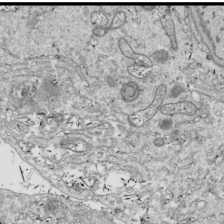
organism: Drosophila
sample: Cell division; meiosis; drosophila spermatocytes